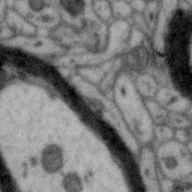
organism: Zebra finch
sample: Brain